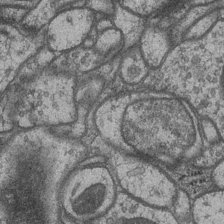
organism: Drosophila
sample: Optic medulla